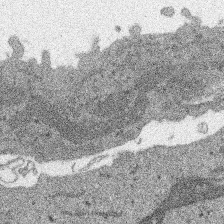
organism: Human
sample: Lung epithelial cells infected with SARS-CoV-2